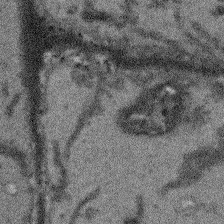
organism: Arabidopsis thaliana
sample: Root tip